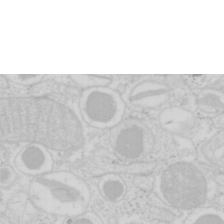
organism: Mouse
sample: Pancreas